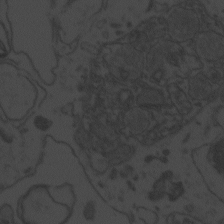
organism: Zebrafish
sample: Macrophage infected with Toxoplasma gondii